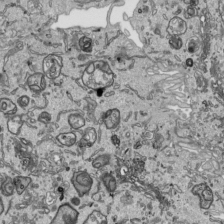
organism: Human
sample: Mitochondria in HCT116 cells